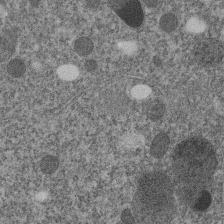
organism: C. elegans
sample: C. elegans embryo early stage